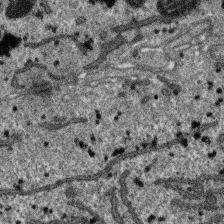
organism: Human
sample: Lung epithelial cells infected with SARS-CoV-2